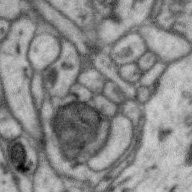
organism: Zebra finch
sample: Brain